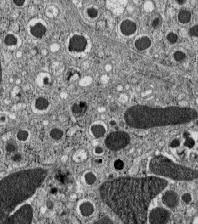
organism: C57BL Mouse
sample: Pancreatic islet